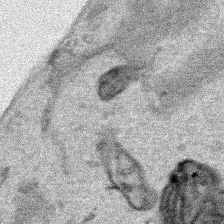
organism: Human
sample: Mitochondria in HCT116 cells